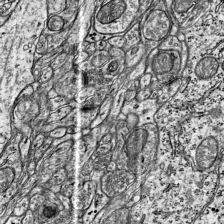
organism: Mouse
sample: Visual Cortex